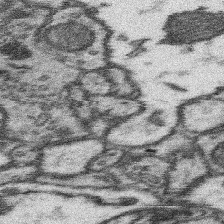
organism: Mouse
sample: Somatosensory cortex neuropil